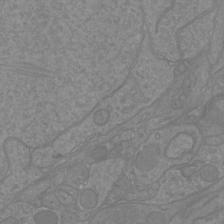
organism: Mouse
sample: Cortical neurons